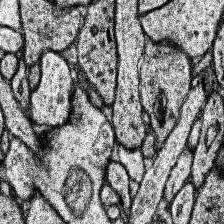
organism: Human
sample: Temporal Lobe